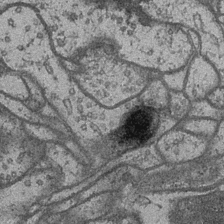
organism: Drosophila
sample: Optic medulla